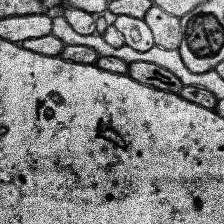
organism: Human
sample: Temporal Lobe